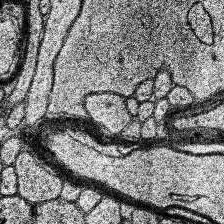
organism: Human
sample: Temporal Lobe